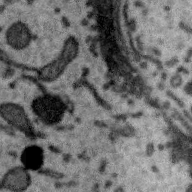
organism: Zebra finch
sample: Brain